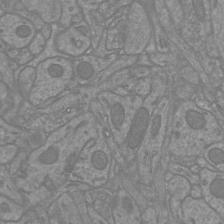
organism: Mouse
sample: Cortical neurons